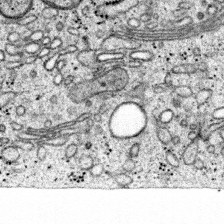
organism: Human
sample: HeLa cells